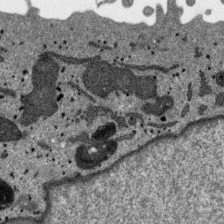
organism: Human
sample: Lung epithelial cells, uninfected (mock) control